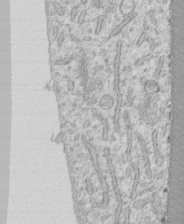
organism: Human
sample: CRL-1474